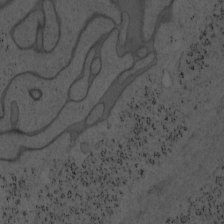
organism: Mouse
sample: OT-I killer T cells with ID8 ovarian cancer cells